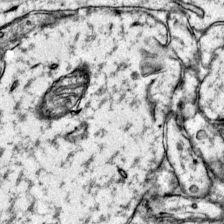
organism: Mouse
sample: Primary visual cortex